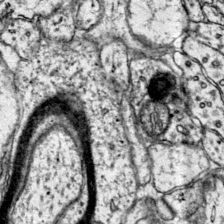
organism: Mouse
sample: Primary visual cortex